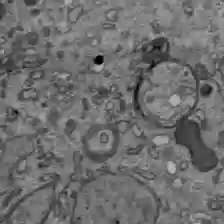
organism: C57BL Mouse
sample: Liver